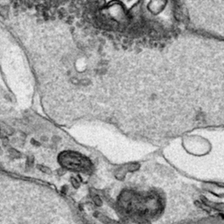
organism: Human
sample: Mitochondria in HCT116 cells